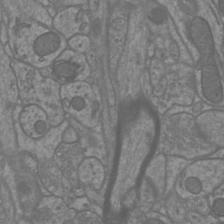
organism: Mouse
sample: Cortical neurons